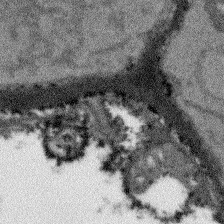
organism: Arabidopsis thaliana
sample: Root tip